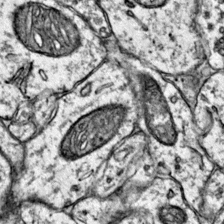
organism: Mouse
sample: Primary visual cortex